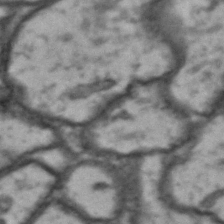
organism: Drosophila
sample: Brain